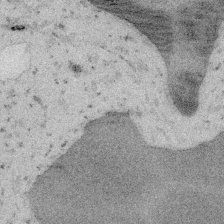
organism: Embia sp.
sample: Silk gland